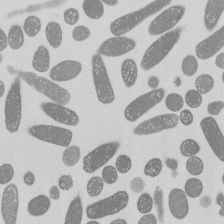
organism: E. coli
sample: Bacterial nucleoid